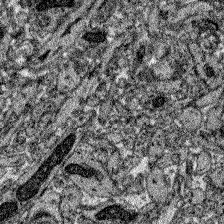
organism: Zebrafish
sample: Larval olfactory bulb